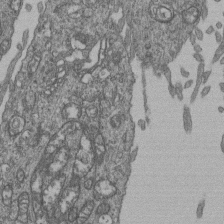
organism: Human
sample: Retinal organoid Rod and Cone cells